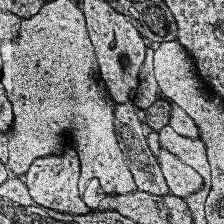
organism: Human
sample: Temporal Lobe